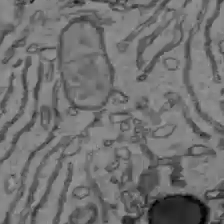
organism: C57BL Mouse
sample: Liver